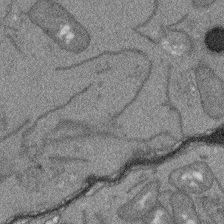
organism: Arabidopsis thaliana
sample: Root tip